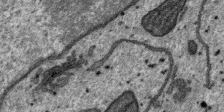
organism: Human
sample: Lung epithelial cells, uninfected (mock) control